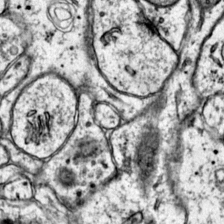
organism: Mouse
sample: Primary visual cortex